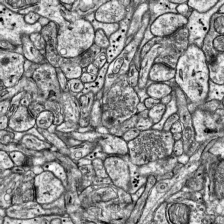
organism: Mouse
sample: Visual Cortex